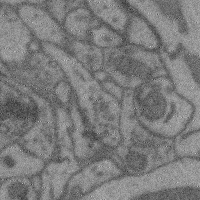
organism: Mouse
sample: Cerebral cortex